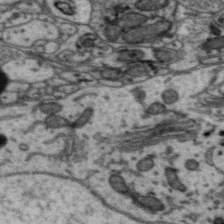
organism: Zebra finch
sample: Brain